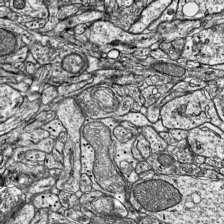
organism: Mouse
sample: Visual Cortex